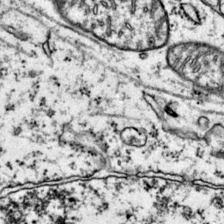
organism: Mouse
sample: Primary visual cortex